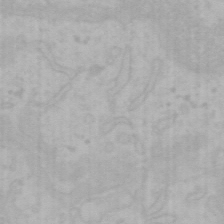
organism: Mouse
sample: Choroid plexus